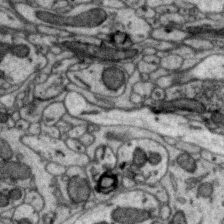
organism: Zebra finch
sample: Brain